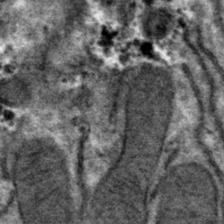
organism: Mouse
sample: Mouse hepatocytes